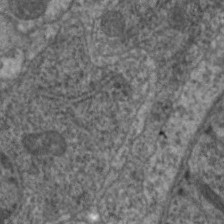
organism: C. elegans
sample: Pharynx